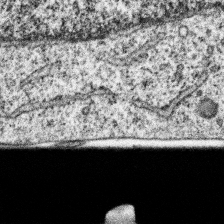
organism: Human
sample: HeLa cells